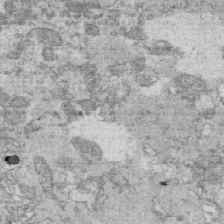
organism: Mouse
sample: Multiciliated cells